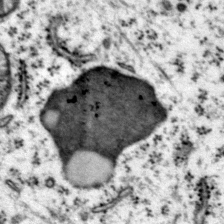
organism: Mouse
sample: Primary visual cortex